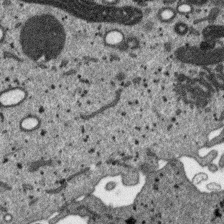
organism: Human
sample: Lung epithelial cells infected with SARS-CoV-2